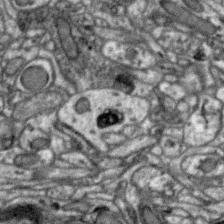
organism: Zebra finch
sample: Brain